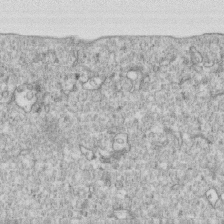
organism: Mouse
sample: Activated OT-1 CD8+ T cells